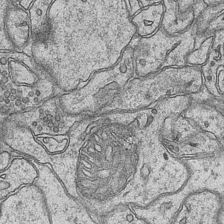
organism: Mouse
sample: CA1 Hippocampus